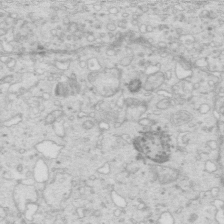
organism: Mouse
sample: Multiciliated cells